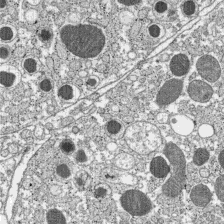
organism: C57BL Mouse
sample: Pancreatic islet